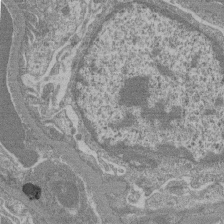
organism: Mouse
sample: Glomerulus